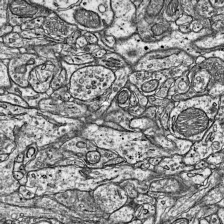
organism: Mouse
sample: Visual Cortex